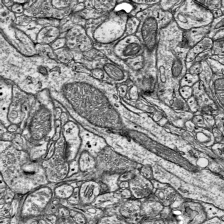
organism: Mouse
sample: Visual Cortex